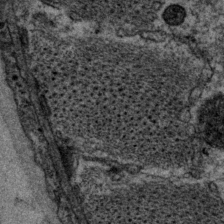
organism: P. pacificus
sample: Pharynx